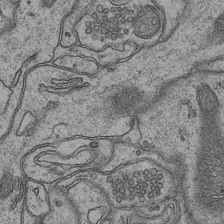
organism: Mouse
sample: CA1 Hippocampus